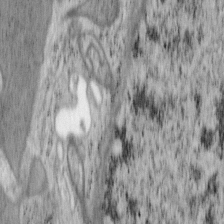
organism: Human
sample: HeLa cells